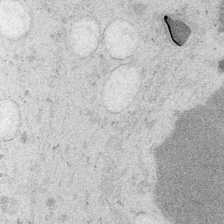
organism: Embia sp.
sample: Silk gland